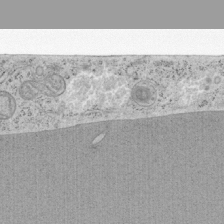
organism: Human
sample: HeLa cells